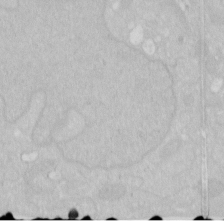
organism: Human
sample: HIV infected U937 cells